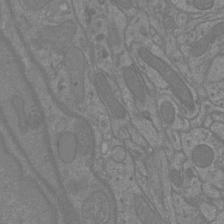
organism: Mouse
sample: Cortical neurons